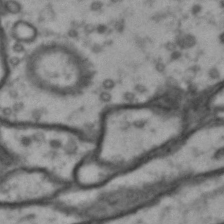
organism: Drosophila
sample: Brain